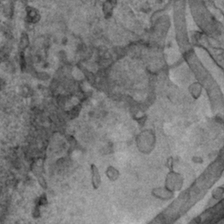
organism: Human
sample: Mitochondria in HCT116 cells